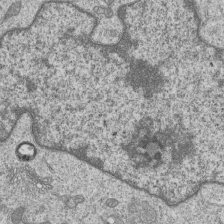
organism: Human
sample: MDA-MB-231 cells